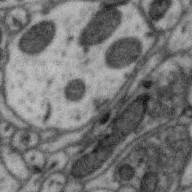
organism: Zebra finch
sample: Brain